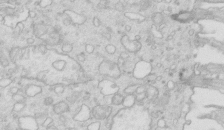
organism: Mouse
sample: Multiciliated cells